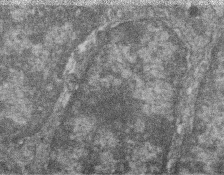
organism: Zebrafish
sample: Cilia; retinal pigment epithelium